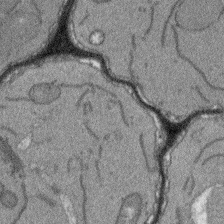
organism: Arabidopsis thaliana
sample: Root tip